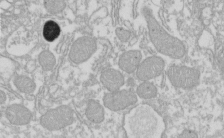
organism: Xenopus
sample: Cilia; centrioles in frog embryo cells